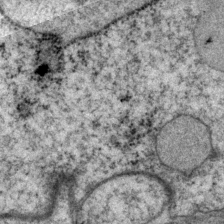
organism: P. pacificus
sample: Pharynx